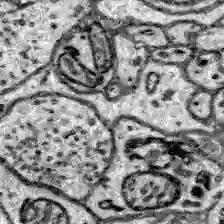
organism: Zebrafish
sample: Brain